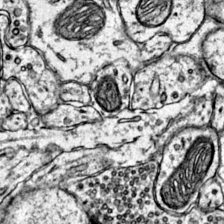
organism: Mouse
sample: Primary visual cortex